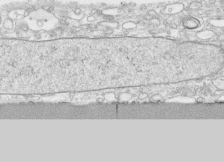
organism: Human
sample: CRL-1474